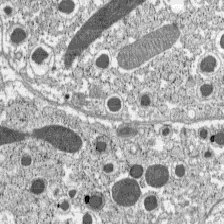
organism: C57BL Mouse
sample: Pancreatic islet